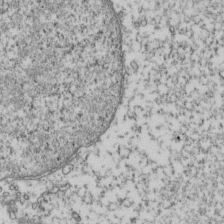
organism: Human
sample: Activated Jurkat CD4+ T cells